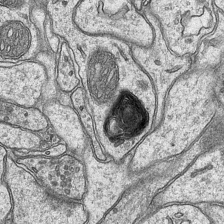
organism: Mouse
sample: CA1 Hippocampus